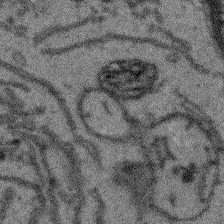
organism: Arabidopsis thaliana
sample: Root tip